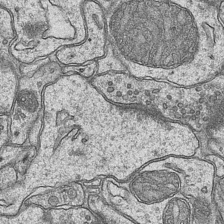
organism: Mouse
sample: CA1 Hippocampus